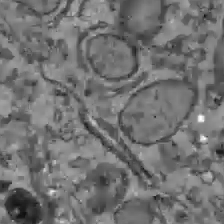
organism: C57BL Mouse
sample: Liver